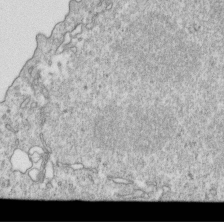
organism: Mouse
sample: Activated OT-1 CD8+ T cells